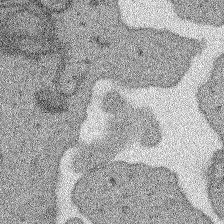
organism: Human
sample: HeLa cells